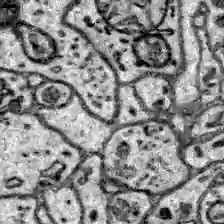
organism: Zebrafish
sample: Brain